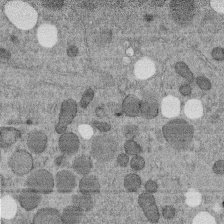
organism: C. elegans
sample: C. elegans embryo early stage